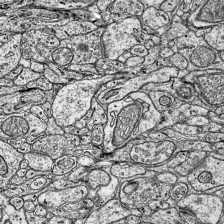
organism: Mouse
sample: Visual Cortex